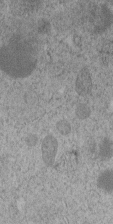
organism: C. elegans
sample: C. elegans embryo early stage